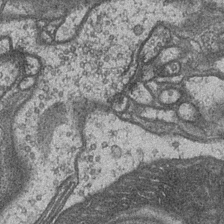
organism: Drosophila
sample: Optic medulla